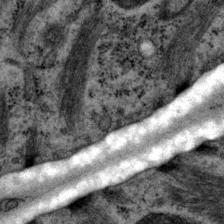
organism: P. pacificus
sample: Pharynx